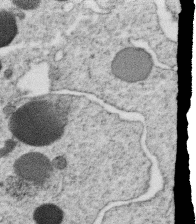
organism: C. elegans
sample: C. elegans oocyte; sperm cells